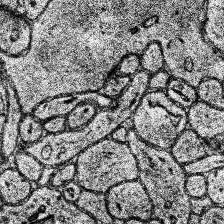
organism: Human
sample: Temporal Lobe